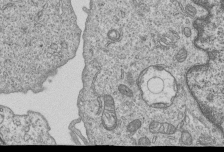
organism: Human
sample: MDA-MB-231 cells